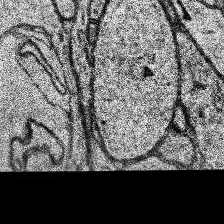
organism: Human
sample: Temporal Lobe